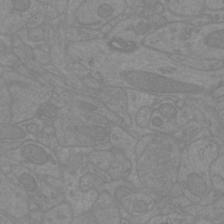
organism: Mouse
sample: Cortical neurons